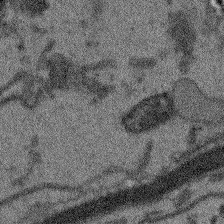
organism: Arabidopsis thaliana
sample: Root tip